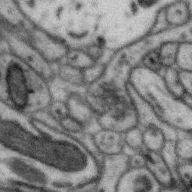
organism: Zebra finch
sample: Brain